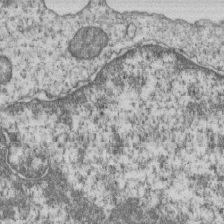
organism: Human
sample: MDA-MB-231 cells